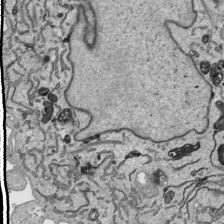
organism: Human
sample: Mitochondria in HCT116 cells